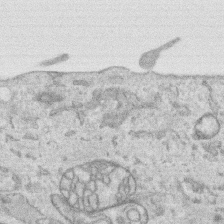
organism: Human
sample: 1205lu cells